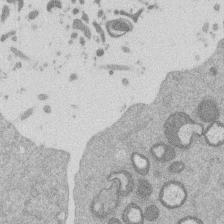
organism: Mouse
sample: Dividing mouse embryo 1 cell stage